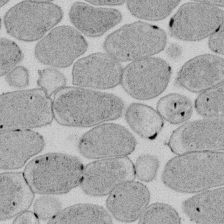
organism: E. coli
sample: Bacterial nucleoid